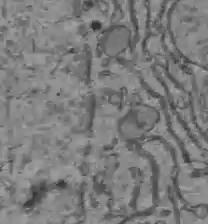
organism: C57BL Mouse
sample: Liver